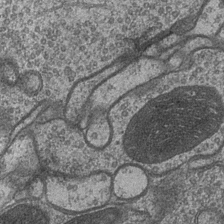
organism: Drosophila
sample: Optic medulla